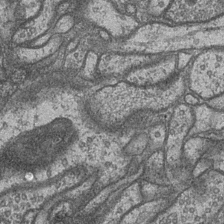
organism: Drosophila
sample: Optic medulla